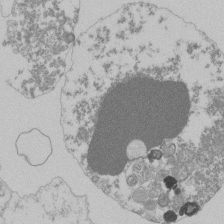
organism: Mouse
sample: Activated Pmel transgenic CD8+ T Cells